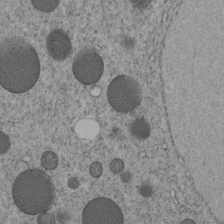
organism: C. elegans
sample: C. elegans embryo early stage